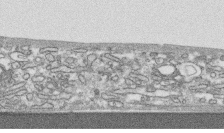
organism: Human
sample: CRL-1474